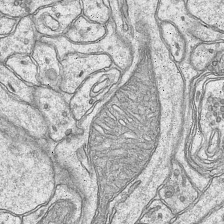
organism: Mouse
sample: CA1 Hippocampus